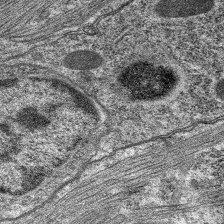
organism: C. elegans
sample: Pharynx